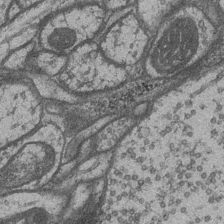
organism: Drosophila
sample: Optic medulla